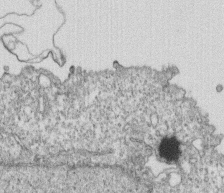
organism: Human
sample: HeLa cell HIV synapse